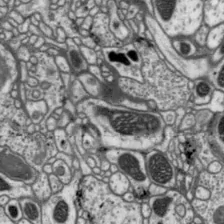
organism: Drosophila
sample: Protocerebral bridge